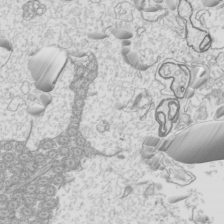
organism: Mouse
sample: Cilia; mouse epididymis